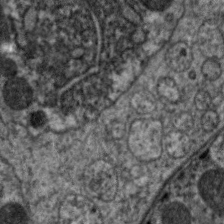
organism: C. elegans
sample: Pharynx